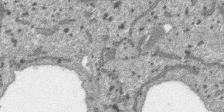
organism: Human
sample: Lung epithelial cells infected with SARS-CoV-2